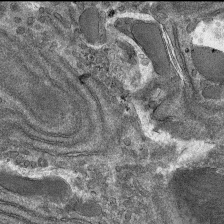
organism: Mouse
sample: Mouse hepatocytes